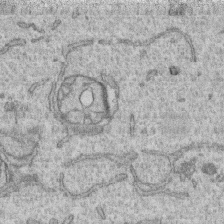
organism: Human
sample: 1205lu cells